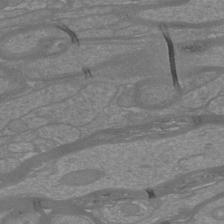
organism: Mouse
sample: Cortical neurons